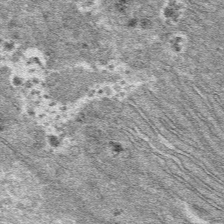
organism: Mouse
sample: Mouse hepatocytes